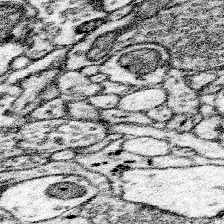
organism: Mouse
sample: Somatosensory cortex neuropil